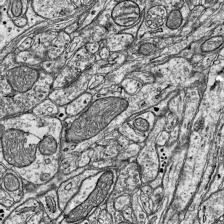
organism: Mouse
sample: Visual Cortex